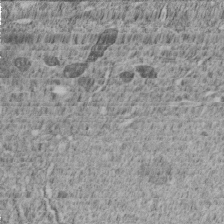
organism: C. elegans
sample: C. elegans embryo early stage